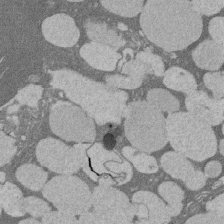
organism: Rat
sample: Salivary granule